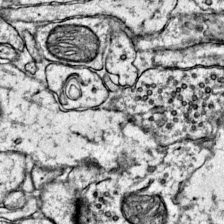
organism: Mouse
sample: Primary visual cortex